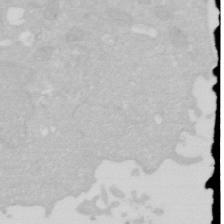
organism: Human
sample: HIV infected U937 cells